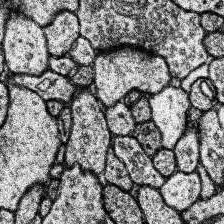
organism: Human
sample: Temporal Lobe